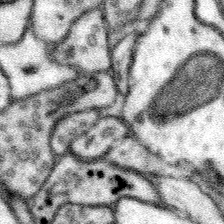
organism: Mouse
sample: Somatosensory cortex neuropil